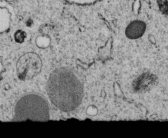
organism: C. elegans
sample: C. elegans embryo early stage